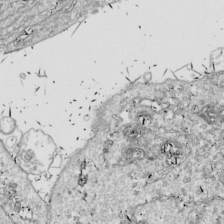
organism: Drosophila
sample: Cell division; meiosis; drosophila spermatocytes